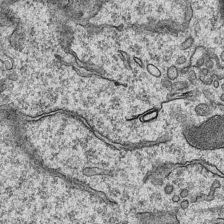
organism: Mouse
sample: CA1 Hippocampus